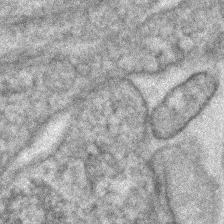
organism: Human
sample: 1205lu cells